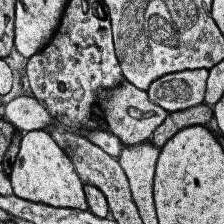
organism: Human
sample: Temporal Lobe